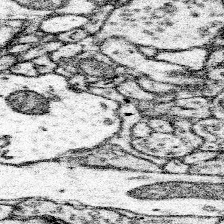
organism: Mouse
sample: Somatosensory cortex neuropil